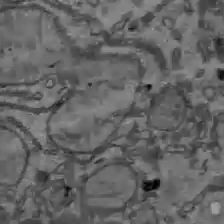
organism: C57BL Mouse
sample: Liver